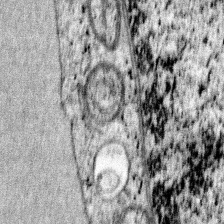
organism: Human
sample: HeLa cells